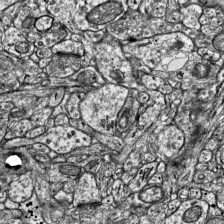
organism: Mouse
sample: Visual Cortex